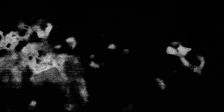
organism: Human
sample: Lung epithelial cells, uninfected (mock) control